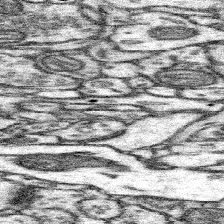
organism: Mouse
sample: Somatosensory cortex neuropil